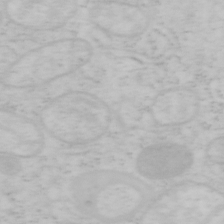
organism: Mouse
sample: OT-I killer T cells with ID8 ovarian cancer cells